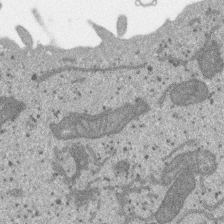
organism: Human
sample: Lung epithelial cells infected with SARS-CoV-2